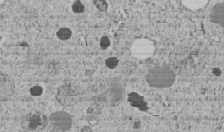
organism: C. elegans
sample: C. elegans embryo early stage